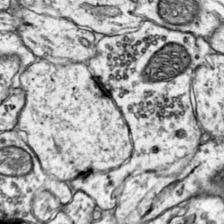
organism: Mouse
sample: Primary visual cortex